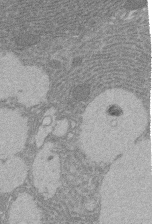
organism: Rat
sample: Salivary granule